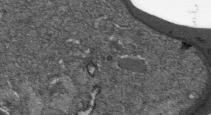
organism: Plasmodium falciparum